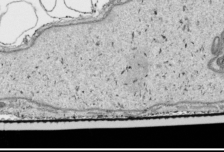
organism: Human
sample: Mitochondria in HCT116 cells